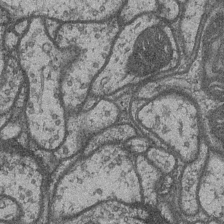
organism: Drosophila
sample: Optic medulla